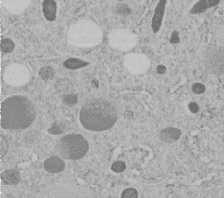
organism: C. elegans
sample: C. elegans embryo early stage